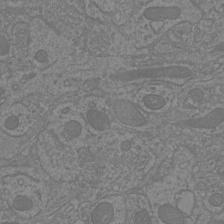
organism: Mouse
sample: Cortical neurons